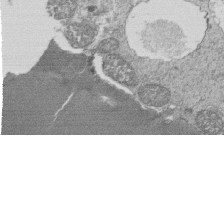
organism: Tetrahymena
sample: Cilia in tetrahymena